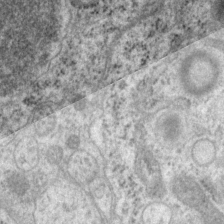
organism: P. pacificus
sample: Pharynx